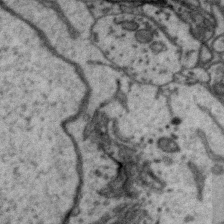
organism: Zebra finch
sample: Brain